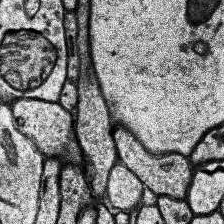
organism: Human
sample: Temporal Lobe